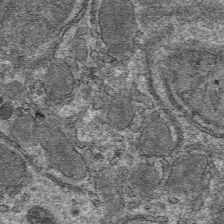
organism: Mouse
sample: Mouse hepatocytes